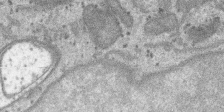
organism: Human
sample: Lung epithelial cells infected with SARS-CoV-2